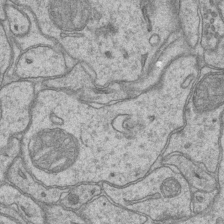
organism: Mouse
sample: CA1 Hippocampus